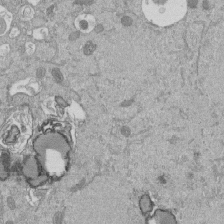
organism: Mouse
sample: ED-1 cell nuclei; centrioles